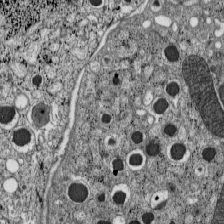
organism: C57BL Mouse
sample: Pancreatic islet